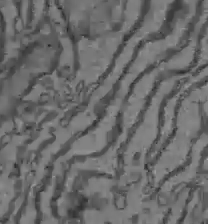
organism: C57BL Mouse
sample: Liver